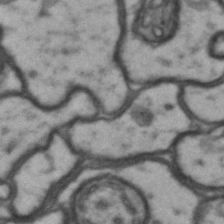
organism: Drosophila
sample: Brain